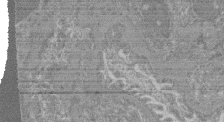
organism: Mouse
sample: Glomerulus